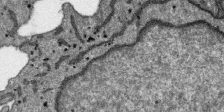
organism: Human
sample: Lung epithelial cells, uninfected (mock) control